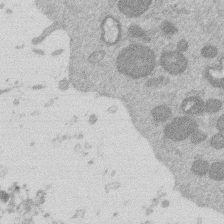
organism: Mouse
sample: Dividing mouse embryo 1 cell stage